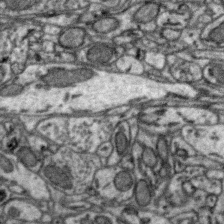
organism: Zebra finch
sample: Brain